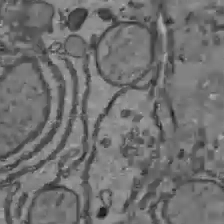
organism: C57BL Mouse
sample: Liver